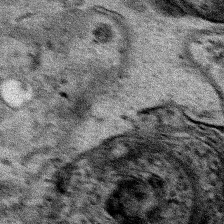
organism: Human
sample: Mitochondria in HCT116 cells